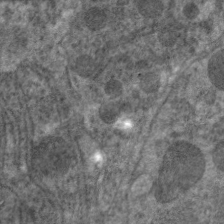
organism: C. elegans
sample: Pharynx